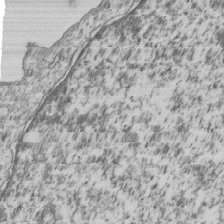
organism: Human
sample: MDA-MB-231 cells